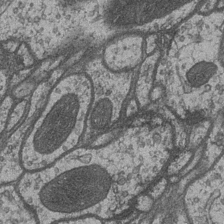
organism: Drosophila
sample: Optic medulla